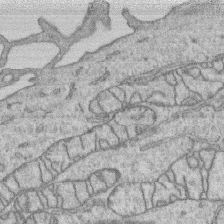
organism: Human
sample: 1205lu cells